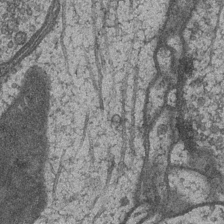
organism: Drosophila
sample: Optic medulla